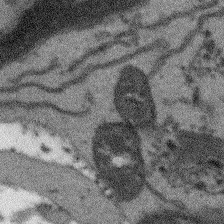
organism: Arabidopsis thaliana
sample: Root tip